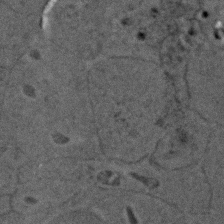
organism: Zebrafish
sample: Zebrafish embryo